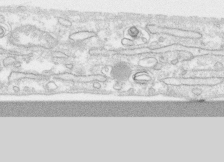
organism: Human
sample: CRL-1474